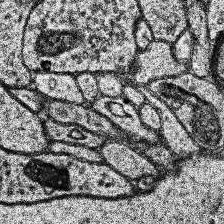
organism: Human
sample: Temporal Lobe